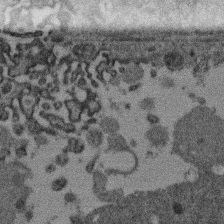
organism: Mouse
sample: Dividing mouse embryo 1 cell stage